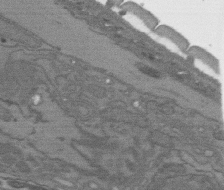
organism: C. elegans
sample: AFD neurons C. elegans